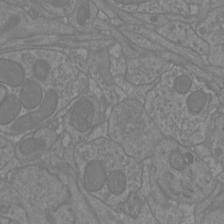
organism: Mouse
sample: Cortical neurons